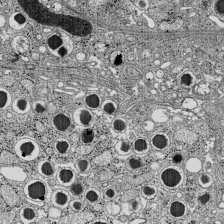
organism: C57BL Mouse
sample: Pancreatic islet